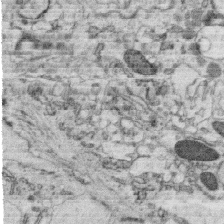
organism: C. elegans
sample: C. elegans oocyte; sperm cells